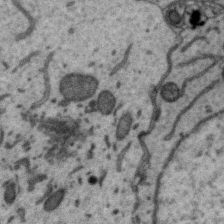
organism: Zebra finch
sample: Brain